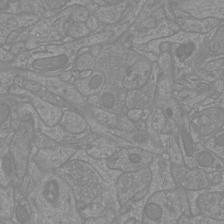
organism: Mouse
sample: Cortical neurons